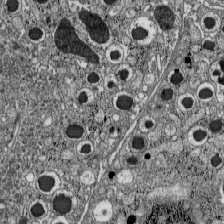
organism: C57BL Mouse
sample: Pancreatic islet